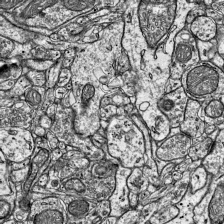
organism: Mouse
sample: Visual Cortex